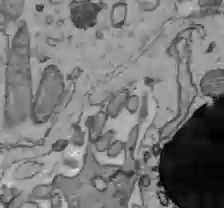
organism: C57BL Mouse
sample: Liver